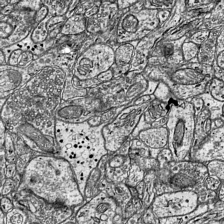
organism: Mouse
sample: Visual Cortex